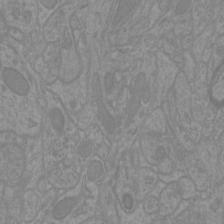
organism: Mouse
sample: Cortical neurons